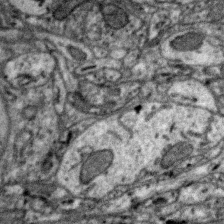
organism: Zebra finch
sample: Brain